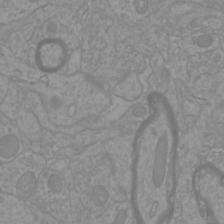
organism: Mouse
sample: Cortical neurons